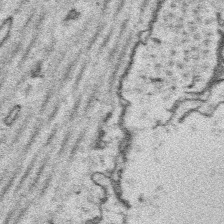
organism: Platynereis dumerilii